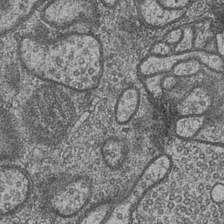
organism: Drosophila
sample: Optic medulla